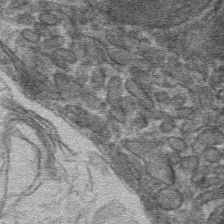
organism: Mouse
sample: Mouse hepatocytes